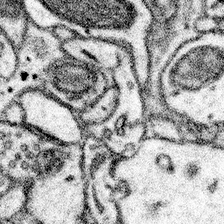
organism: Mouse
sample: Somatosensory cortex neuropil